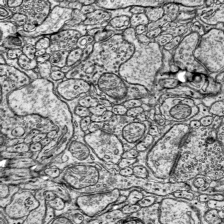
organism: Mouse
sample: Visual Cortex